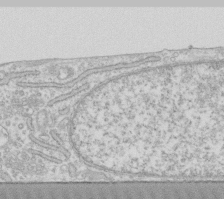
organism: Human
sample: Fibroblast cells